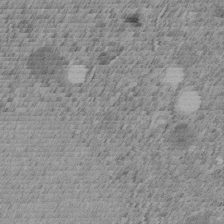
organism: C. elegans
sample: C. elegans embryo early stage